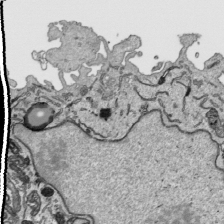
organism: Human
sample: Mitochondria in HCT116 cells